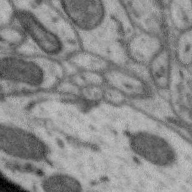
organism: Zebra finch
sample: Brain